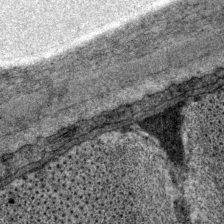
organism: P. pacificus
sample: Pharynx